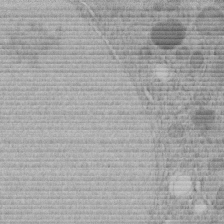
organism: C. elegans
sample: C. elegans embryo early stage